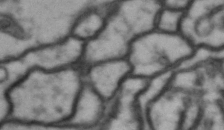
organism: Drosophila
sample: Brain